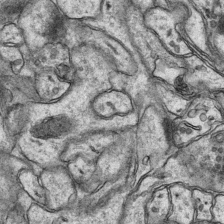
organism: Mouse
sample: CA1 Hippocampus